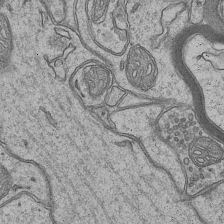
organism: Mouse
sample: CA1 Hippocampus